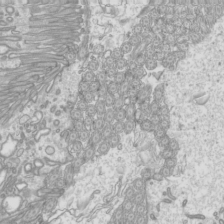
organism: Mouse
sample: Cilia; mouse epididymis